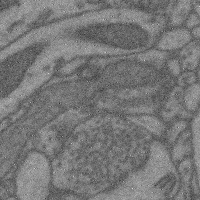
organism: Mouse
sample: Cerebral cortex